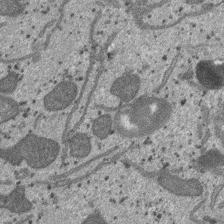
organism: Human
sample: Lung epithelial cells infected with SARS-CoV-2